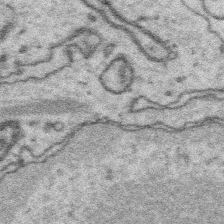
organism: Platynereis dumerilii